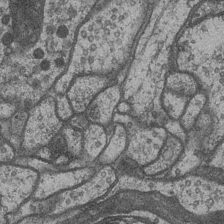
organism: Drosophila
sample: Optic medulla